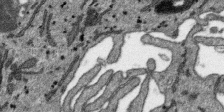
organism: Human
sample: Lung epithelial cells, uninfected (mock) control